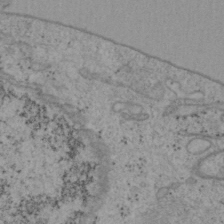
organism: Human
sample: HeLa cells